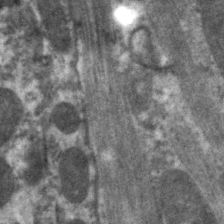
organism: C. elegans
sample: Pharynx